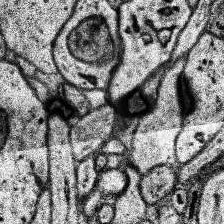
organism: Human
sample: Temporal Lobe